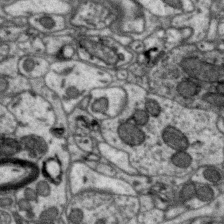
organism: Zebra finch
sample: Brain